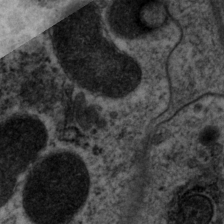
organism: P. pacificus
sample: Pharynx